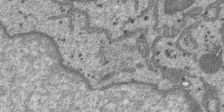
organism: Human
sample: Lung epithelial cells infected with SARS-CoV-2